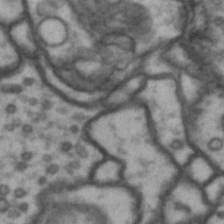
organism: Drosophila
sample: Brain